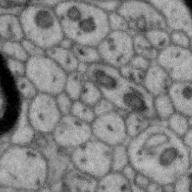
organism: Zebra finch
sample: Brain